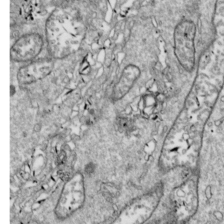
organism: Drosophila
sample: Cell division; meiosis; drosophila spermatocytes